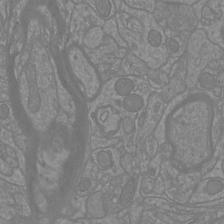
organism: Mouse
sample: Cortical neurons